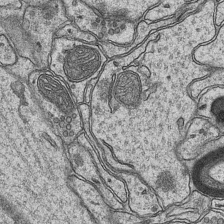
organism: Mouse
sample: CA1 Hippocampus